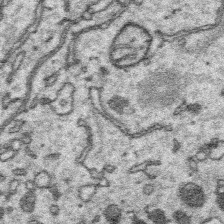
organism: Platynereis dumerilii